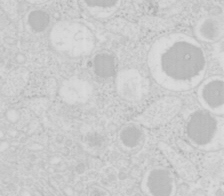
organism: Mouse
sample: Pancreas